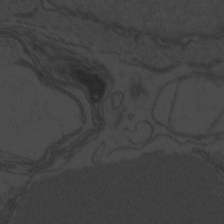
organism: Zebrafish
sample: Macrophage infected with Toxoplasma gondii